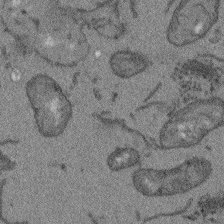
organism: Arabidopsis thaliana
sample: Root tip